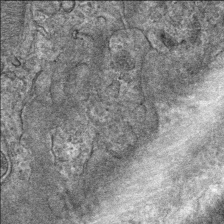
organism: Mouse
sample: Mouse Salivary gland